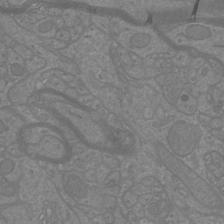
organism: Mouse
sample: Cortical neurons